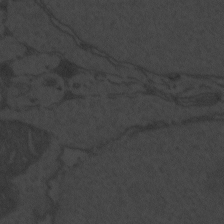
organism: Zebrafish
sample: Macrophage infected with Toxoplasma gondii